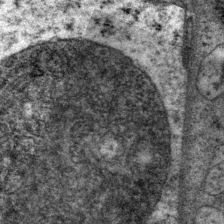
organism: P. pacificus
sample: Pharynx